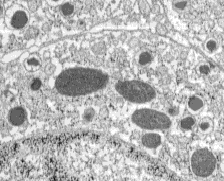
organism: C57BL Mouse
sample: Pancreatic islet